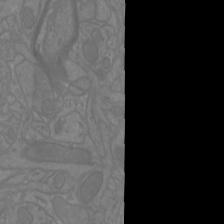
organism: Mouse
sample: Cortical neurons